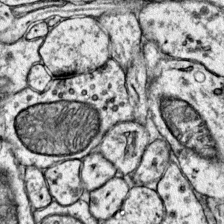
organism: Mouse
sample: Primary visual cortex